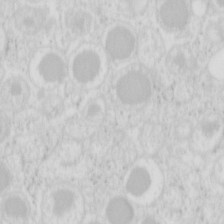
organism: Mouse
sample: Pancreas